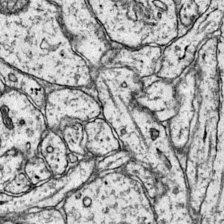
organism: Mouse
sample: Primary visual cortex